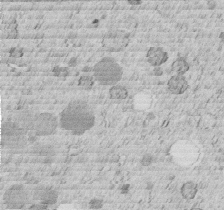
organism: C. elegans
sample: C. elegans embryo early stage